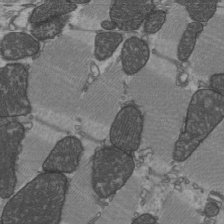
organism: C57BL Mouse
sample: Heart